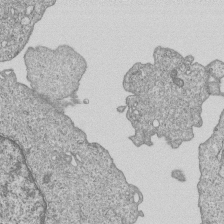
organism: Human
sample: MDA-MB-231 cells